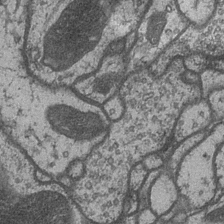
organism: Drosophila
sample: Optic medulla